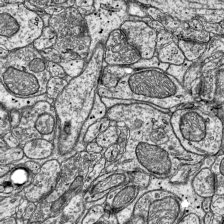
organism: Mouse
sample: Visual Cortex